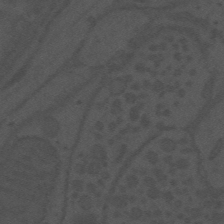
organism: Mouse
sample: Suprachiasmatic nucleus